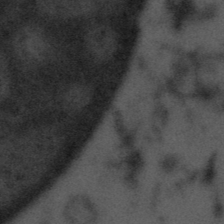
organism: Tuwongella immobilis